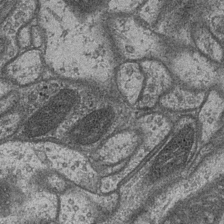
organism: Drosophila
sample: Optic medulla